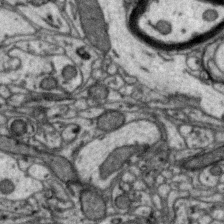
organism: Zebra finch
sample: Brain